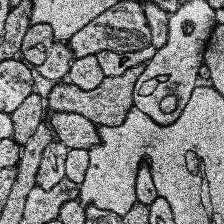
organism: Human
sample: Temporal Lobe